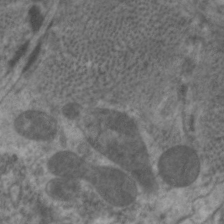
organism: C. elegans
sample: Pharynx